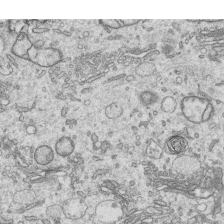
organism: Human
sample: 1205lu cells